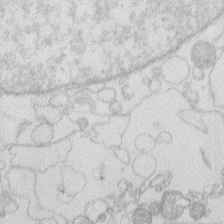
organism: Human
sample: Macrophage cells